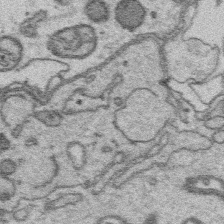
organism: Platynereis dumerilii